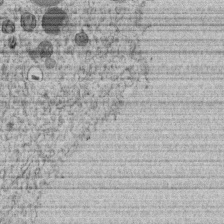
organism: C. elegans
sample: C. elegans embryo early stage